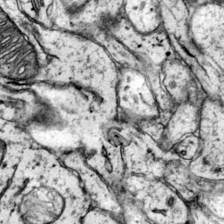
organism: Mouse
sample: Primary visual cortex